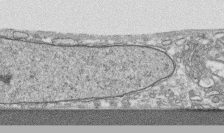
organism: Human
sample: CRL-1474